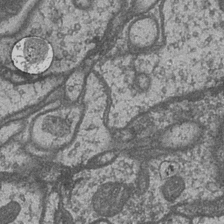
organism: Drosophila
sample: Optic medulla